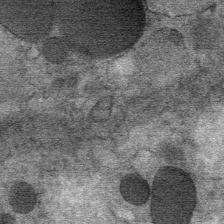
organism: Mouse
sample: Mouse Salivary gland